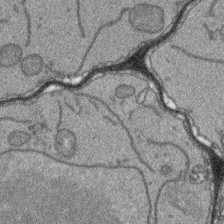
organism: Arabidopsis thaliana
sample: Root tip